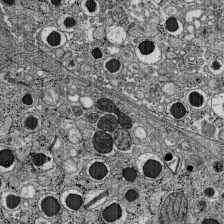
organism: C57BL Mouse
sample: Pancreatic islet